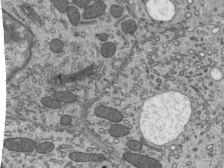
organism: Mouse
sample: Mouse epididymis efferent ductule cilia